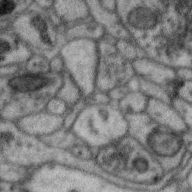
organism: Zebra finch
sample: Brain